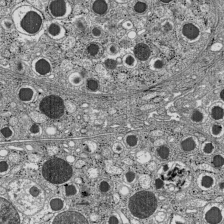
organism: C57BL Mouse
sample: Pancreatic islet